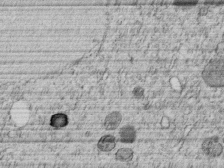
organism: C. elegans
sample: C. elegans embryo early stage